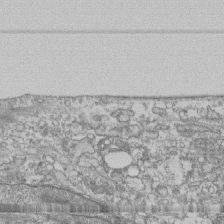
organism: Human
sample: Fibroblast cells